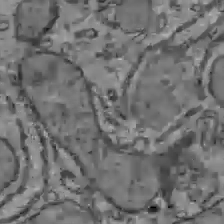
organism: C57BL Mouse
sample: Liver